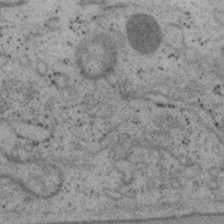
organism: Human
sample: HeLa cells